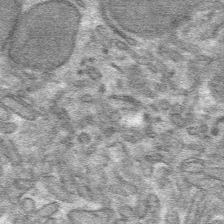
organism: Mouse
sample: Mouse hepatocytes